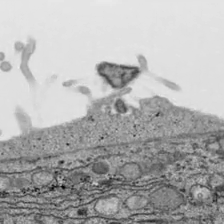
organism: Human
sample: HeLa cells